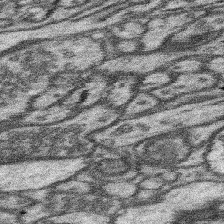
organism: Mouse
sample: Somatosensory cortex neuropil